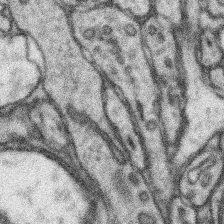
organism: Mouse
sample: Somatosensory cortex neuropil